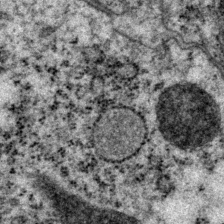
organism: P. pacificus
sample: Pharynx